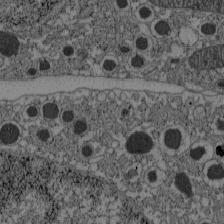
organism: C57BL Mouse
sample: Pancreatic islet